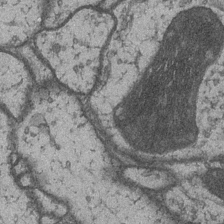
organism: Drosophila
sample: Optic medulla